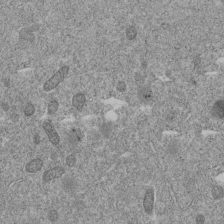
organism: C. elegans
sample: C. elegans embryo early stage